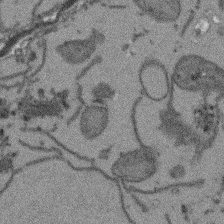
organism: Arabidopsis thaliana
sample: Root tip